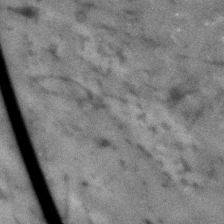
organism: Human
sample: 1205lu cells